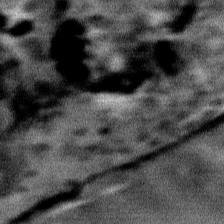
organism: Mouse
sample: Mouse Salivary gland